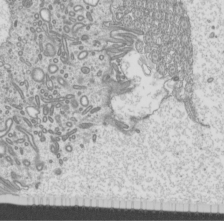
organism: Mouse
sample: Cilia; mouse epididymis